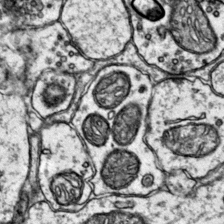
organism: Mouse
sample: Primary visual cortex